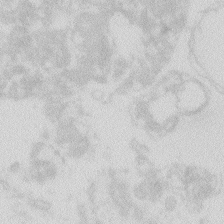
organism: Zebrafish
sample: Macrophage